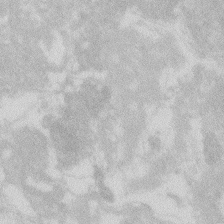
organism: Zebrafish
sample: Macrophage